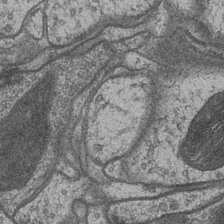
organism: Drosophila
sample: Optic medulla